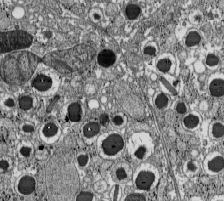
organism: C57BL Mouse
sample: Pancreatic islet